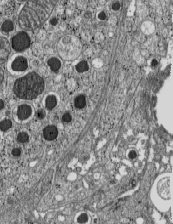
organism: C57BL Mouse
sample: Pancreatic islet